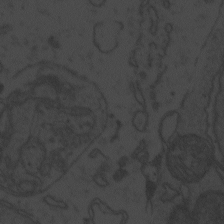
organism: Zebrafish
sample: Macrophage infected with Toxoplasma gondii